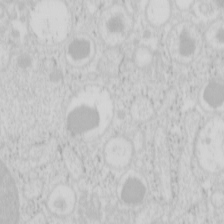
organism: Mouse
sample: Pancreas